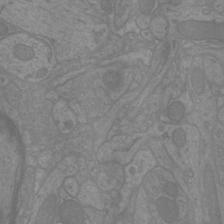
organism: Mouse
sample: Cortical neurons